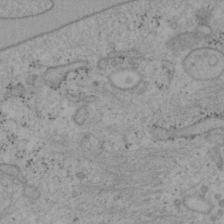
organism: Human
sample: HeLa cells